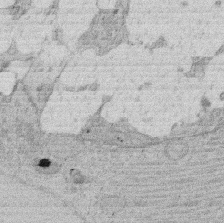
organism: Rat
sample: Salivary granule